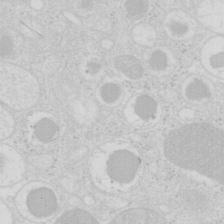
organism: Mouse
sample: Pancreas